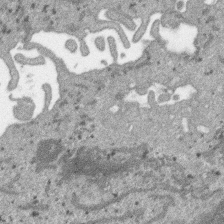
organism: Human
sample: Lung epithelial cells infected with SARS-CoV-2